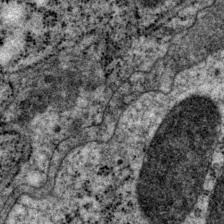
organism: P. pacificus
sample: Pharynx